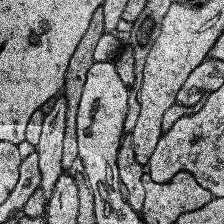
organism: Human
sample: Temporal Lobe